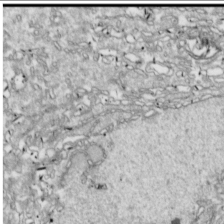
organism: Drosophila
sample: Cell division; meiosis; drosophila spermatocytes